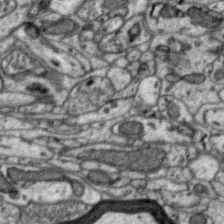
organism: Zebra finch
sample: Brain